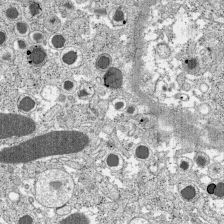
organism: C57BL Mouse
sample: Pancreatic islet